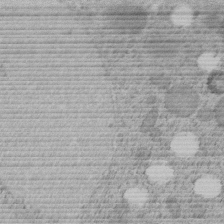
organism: C. elegans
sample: C. elegans embryo early stage